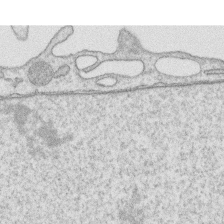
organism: Human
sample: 1205lu cells